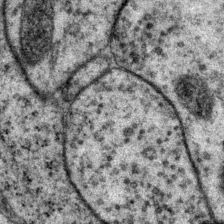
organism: P. pacificus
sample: Pharynx